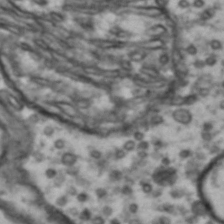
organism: Drosophila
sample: Brain